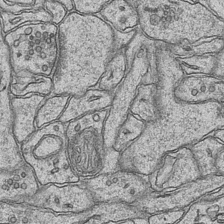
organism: Mouse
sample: CA1 Hippocampus